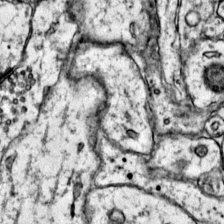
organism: Mouse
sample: Primary visual cortex